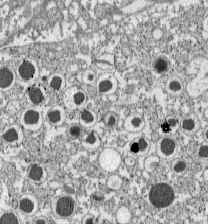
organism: C57BL Mouse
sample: Pancreatic islet